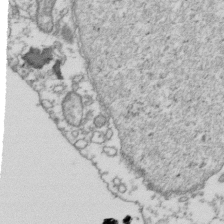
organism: Human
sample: Activated Jurkat CD4+ T cells